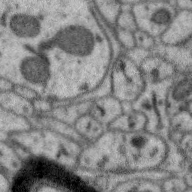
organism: Zebra finch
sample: Brain